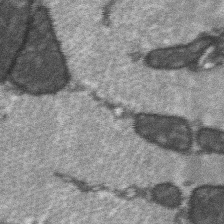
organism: C57BL Mouse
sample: Soleus